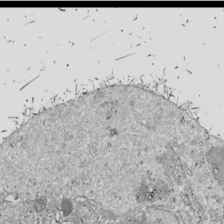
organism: Drosophila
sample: Cell division; meiosis; drosophila spermatocytes